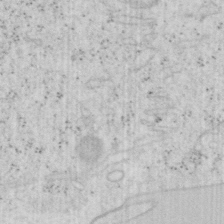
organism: Human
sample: HeLa cells